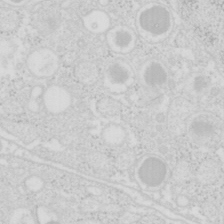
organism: Mouse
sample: Pancreas